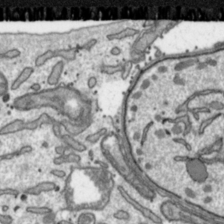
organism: Toxoplasma gondii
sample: Parasites in a vacuole inside a host cell